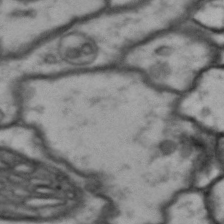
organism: Drosophila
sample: Brain